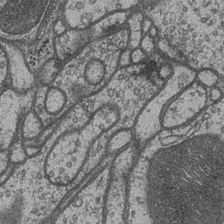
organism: Drosophila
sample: Optic medulla